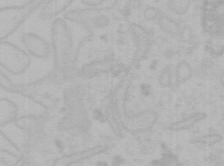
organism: Mouse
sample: Choroid plexus